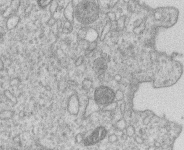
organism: Human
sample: Macrophage cells